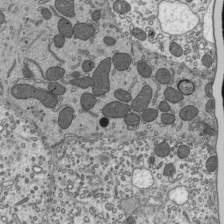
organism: Mouse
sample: Mouse epididymis efferent ductule cilia